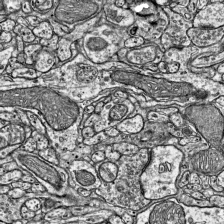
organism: Mouse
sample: Visual Cortex